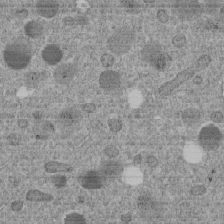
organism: C. elegans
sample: C. elegans embryo early stage